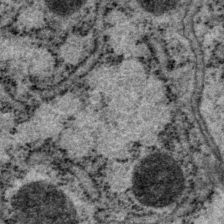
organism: P. pacificus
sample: Pharynx